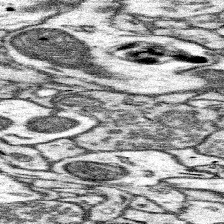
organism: Mouse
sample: Somatosensory cortex neuropil